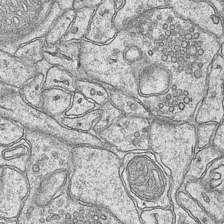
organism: Mouse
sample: CA1 Hippocampus